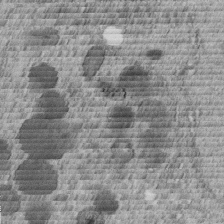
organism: C. elegans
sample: C. elegans embryo early stage